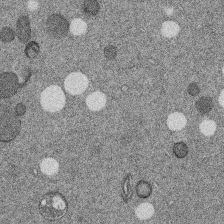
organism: C. elegans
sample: C. elegans embryo early stage